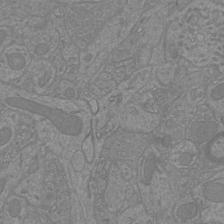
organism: Mouse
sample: Cortical neurons